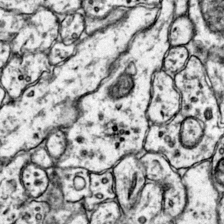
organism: Mouse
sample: Primary visual cortex